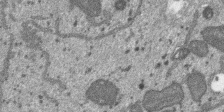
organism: Human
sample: Lung epithelial cells infected with SARS-CoV-2